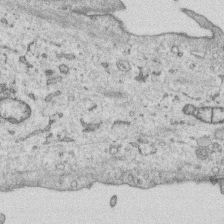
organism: Human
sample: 1205lu cells